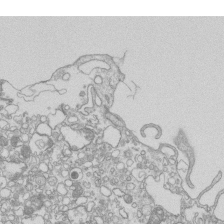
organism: Mouse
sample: Macrophages